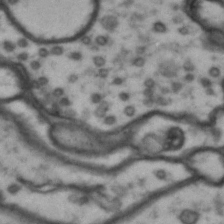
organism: Drosophila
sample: Brain